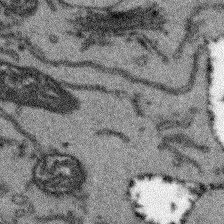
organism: Arabidopsis thaliana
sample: Root tip